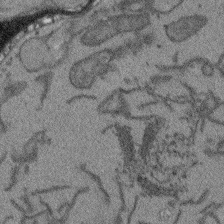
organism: Arabidopsis thaliana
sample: Root tip